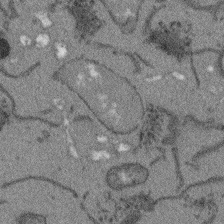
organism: Arabidopsis thaliana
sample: Root tip